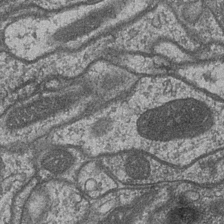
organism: Drosophila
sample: Optic medulla